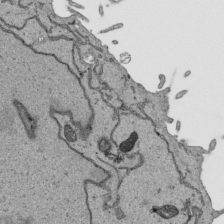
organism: Human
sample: Mitochondria in HCT116 cells